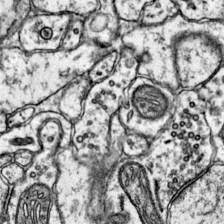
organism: Mouse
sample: Primary visual cortex